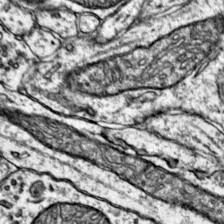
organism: Mouse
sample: Primary visual cortex